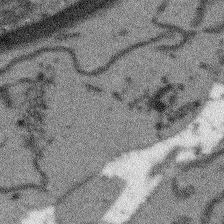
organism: Arabidopsis thaliana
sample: Root tip